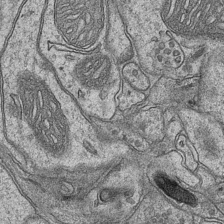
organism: Mouse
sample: CA1 Hippocampus